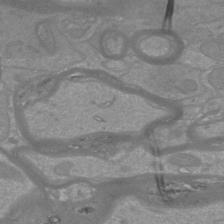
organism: Mouse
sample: Cortical neurons